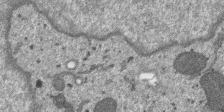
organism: Human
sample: Lung epithelial cells infected with SARS-CoV-2